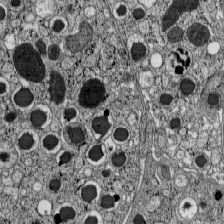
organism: C57BL Mouse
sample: Pancreatic islet